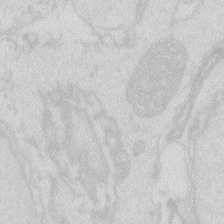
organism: Zebrafish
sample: Macrophage